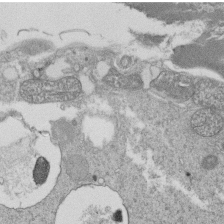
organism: Tetrahymena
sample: Cilia in tetrahymena